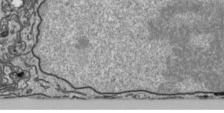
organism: Human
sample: Mitochondria in HCT116 cells